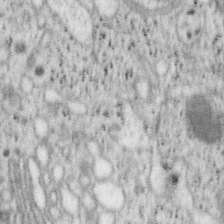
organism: Mouse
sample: OT-I killer T cells with ID8 ovarian cancer cells